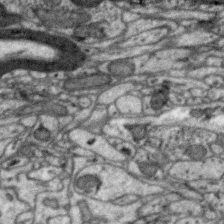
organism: Zebra finch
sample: Brain